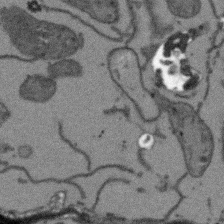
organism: Arabidopsis thaliana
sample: Root tip